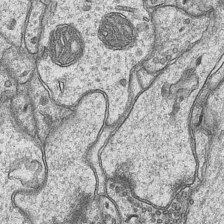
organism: Mouse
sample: CA1 Hippocampus